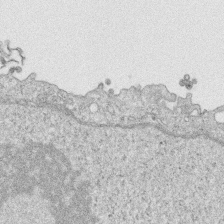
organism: Human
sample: HeLa cell HIV synapse